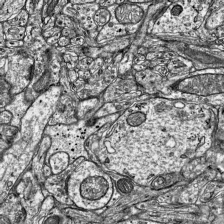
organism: Mouse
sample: Visual Cortex